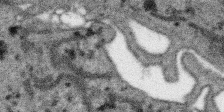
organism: Human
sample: Lung epithelial cells infected with SARS-CoV-2